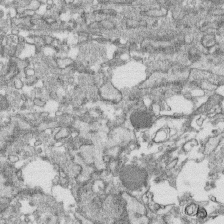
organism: Human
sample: CRL-1474